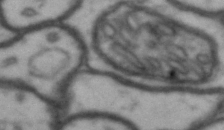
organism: Drosophila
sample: Brain